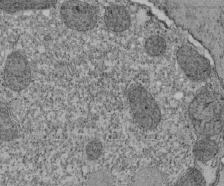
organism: Tetrahymena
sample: Cilia in tetrahymena